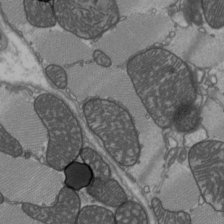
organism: C57BL Mouse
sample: Heart